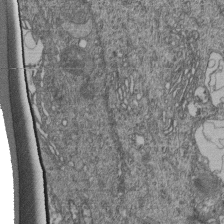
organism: Human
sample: Retinal organoid Rod and Cone cells